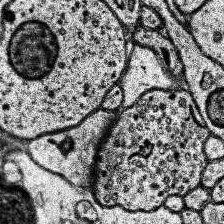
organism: Human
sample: Temporal Lobe